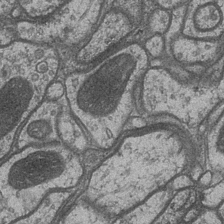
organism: Drosophila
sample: Optic medulla